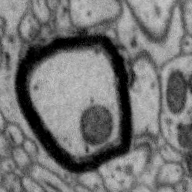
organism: Zebra finch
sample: Brain